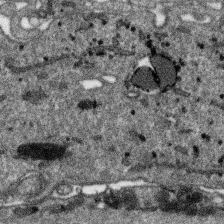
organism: Human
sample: Lung epithelial cells infected with SARS-CoV-2